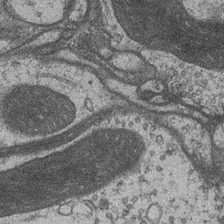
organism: Drosophila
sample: Optic medulla